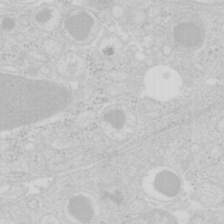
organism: Mouse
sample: Pancreas